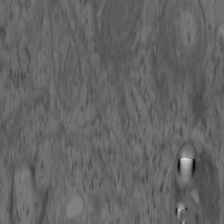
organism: Human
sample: HeLa cells